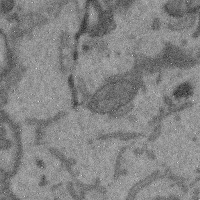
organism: Mouse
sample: Cerebral cortex